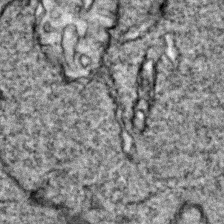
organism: Zebrafish